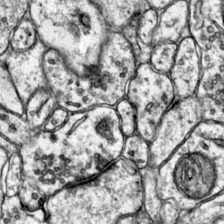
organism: Mouse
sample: Primary visual cortex